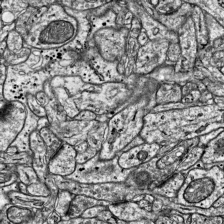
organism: Mouse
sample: Visual Cortex